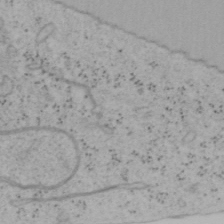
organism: Human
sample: HeLa cells